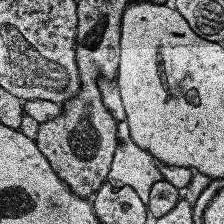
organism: Human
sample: Temporal Lobe